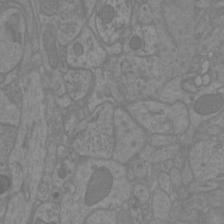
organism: Mouse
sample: Cortical neurons